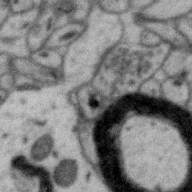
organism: Zebra finch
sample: Brain